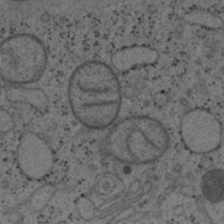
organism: Human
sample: HeLa cells